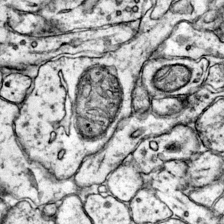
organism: Mouse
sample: Primary visual cortex